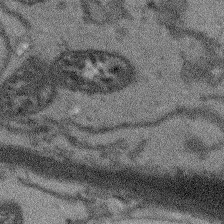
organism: Arabidopsis thaliana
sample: Root tip